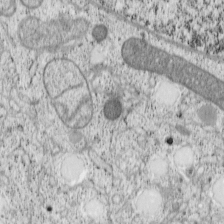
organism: African green monkey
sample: COS-7 cells